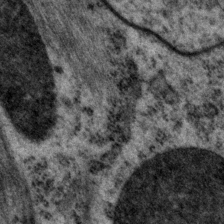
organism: P. pacificus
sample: Pharynx